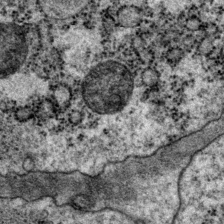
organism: P. pacificus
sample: Pharynx